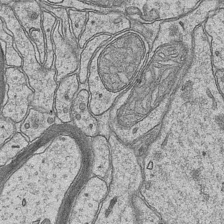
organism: Mouse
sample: CA1 Hippocampus